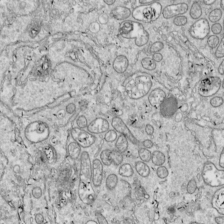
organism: Drosophila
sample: Cell division; meiosis; drosophila spermatocytes